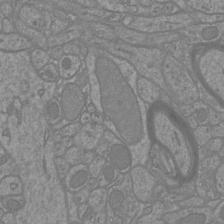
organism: Mouse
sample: Cortical neurons